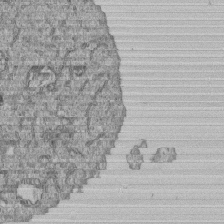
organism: Human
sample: MDA-MB-231 cells